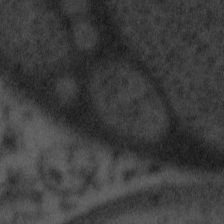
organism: Tuwongella immobilis